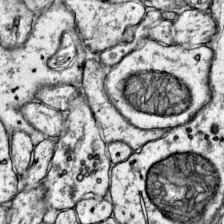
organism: Mouse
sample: Primary visual cortex